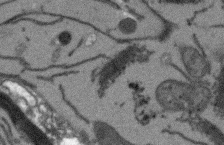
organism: Arabidopsis thaliana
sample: Root tip